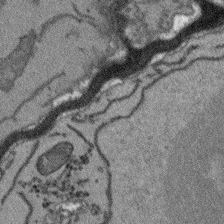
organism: Arabidopsis thaliana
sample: Root tip